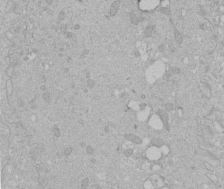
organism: Human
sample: Melanocyte Keratinocyte synapse skin construct